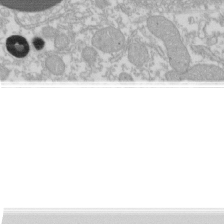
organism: Xenopus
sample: Cilia; centrioles in frog embryo cells